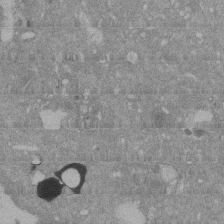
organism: Mouse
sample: ED-1 cell nuclei; centrioles